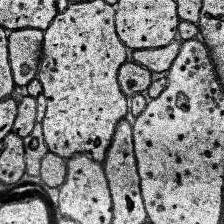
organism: Human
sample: Temporal Lobe